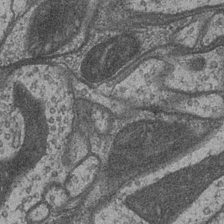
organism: Drosophila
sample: Optic medulla